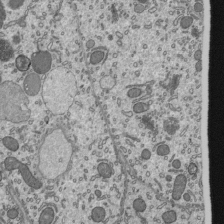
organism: Mouse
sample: Mouse epididymis efferent ductule cilia